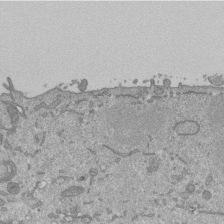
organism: Mouse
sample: ED-1 cell nuclei; centrioles